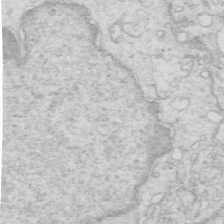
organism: Mouse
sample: Multiciliated cells